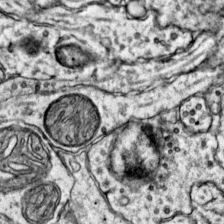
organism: Mouse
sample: Primary visual cortex